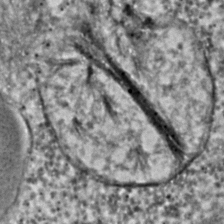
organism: C. elegans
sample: C. elegans embryo